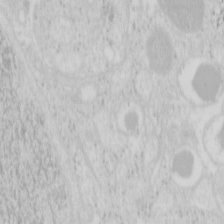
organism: Mouse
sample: Pancreas